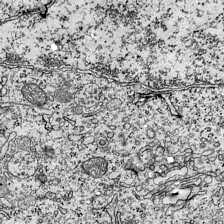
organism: Mouse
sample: Visual Cortex